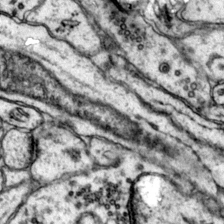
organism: Mouse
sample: Primary visual cortex